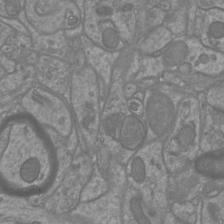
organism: Mouse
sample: Cortical neurons